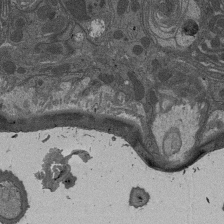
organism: Drosophila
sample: Antenna